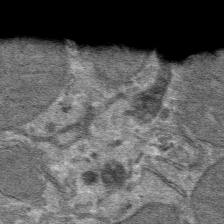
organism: Mouse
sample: Mouse hepatocytes